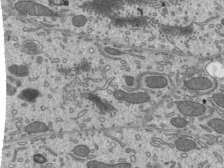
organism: Mouse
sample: Mouse epididymis efferent ductule cilia